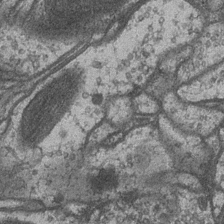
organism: Drosophila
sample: Optic medulla